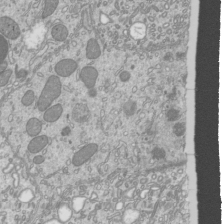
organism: Mouse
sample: Cilia; mouse epididymis